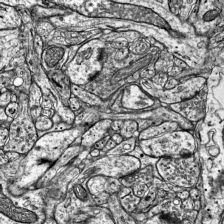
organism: Mouse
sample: Visual Cortex